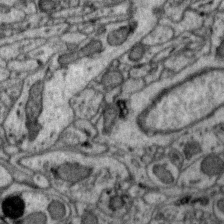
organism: Zebra finch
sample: Brain